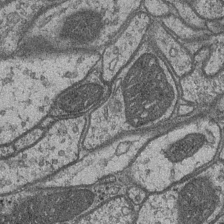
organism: Drosophila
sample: Optic medulla